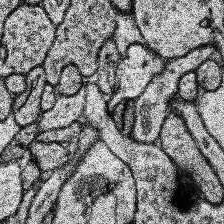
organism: Human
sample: Temporal Lobe